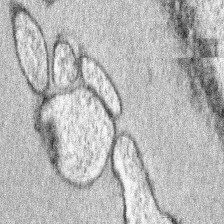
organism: Human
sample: HeLa cells